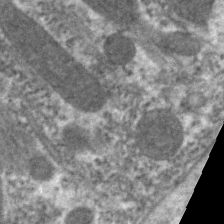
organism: C. elegans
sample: Pharynx